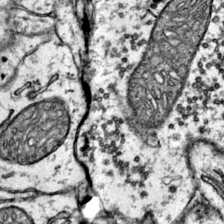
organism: Mouse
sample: Primary visual cortex